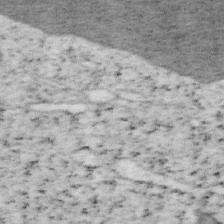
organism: Mouse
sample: OT-I killer T cells with ID8 ovarian cancer cells